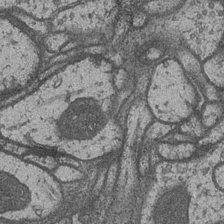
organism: Drosophila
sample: Optic medulla